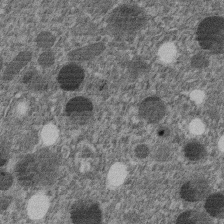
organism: C. elegans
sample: C. elegans embryo early stage